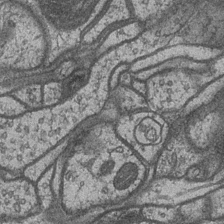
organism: Drosophila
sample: Optic medulla